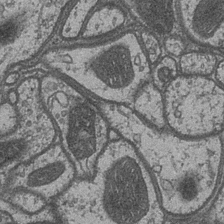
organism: Drosophila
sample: Optic medulla